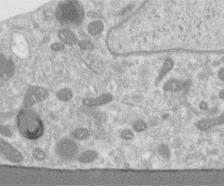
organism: Human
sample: Centriole in RPE cells